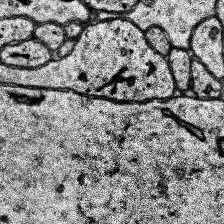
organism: Human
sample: Temporal Lobe